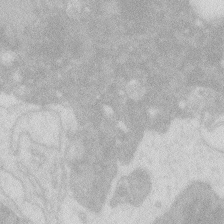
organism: Zebrafish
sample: Macrophage